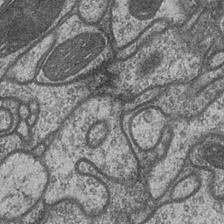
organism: Drosophila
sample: Optic medulla